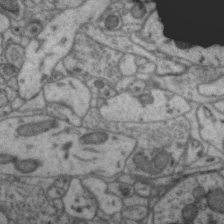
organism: Zebra finch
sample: Brain